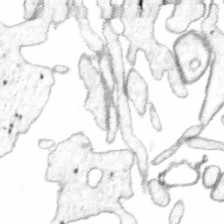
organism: Human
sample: HeLa cells